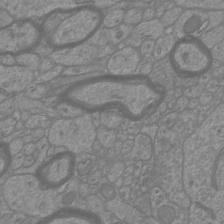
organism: Mouse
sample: Cortical neurons